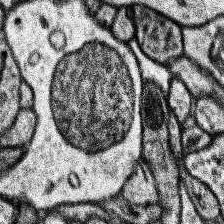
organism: Human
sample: Temporal Lobe